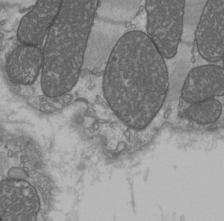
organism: C57BL Mouse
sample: Heart